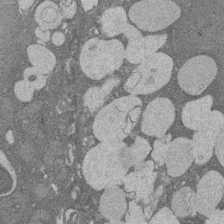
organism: Rat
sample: Salivary granule